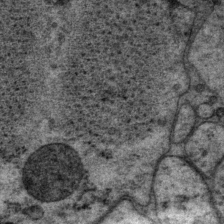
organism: P. pacificus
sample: Pharynx